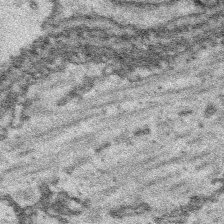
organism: Platynereis dumerilii